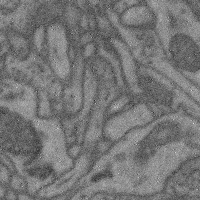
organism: Mouse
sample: Cerebral cortex